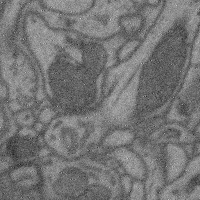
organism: Mouse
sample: Cerebral cortex